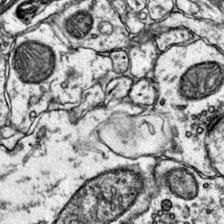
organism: Mouse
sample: Primary visual cortex